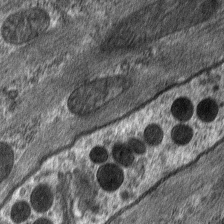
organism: C. elegans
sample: Pharynx